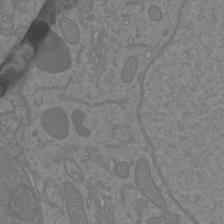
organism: Mouse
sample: Cortical neurons